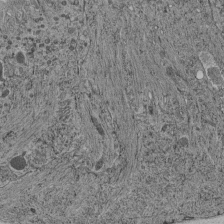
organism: C. elegans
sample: C. elegans pharynx